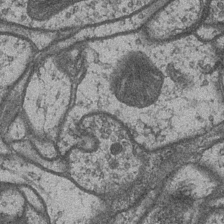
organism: Drosophila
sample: Optic medulla